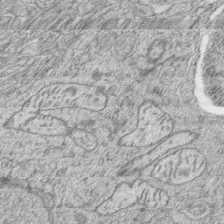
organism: Zebrafish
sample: synaptic ribbons in rod cells and cone cells